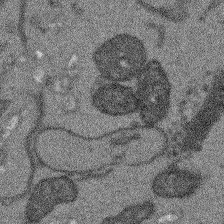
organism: Arabidopsis thaliana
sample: Root tip